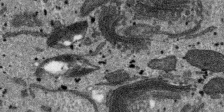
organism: Human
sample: Lung epithelial cells, uninfected (mock) control